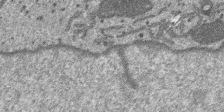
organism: Human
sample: Lung epithelial cells infected with SARS-CoV-2